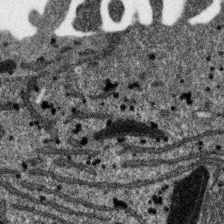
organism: Human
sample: Lung epithelial cells infected with SARS-CoV-2